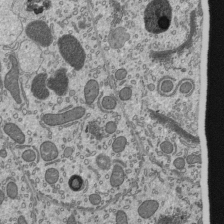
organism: Mouse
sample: Mouse epididymis efferent ductule cilia